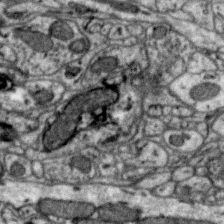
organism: Zebra finch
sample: Brain